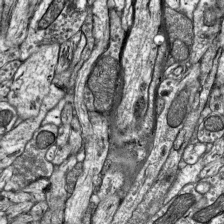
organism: Mouse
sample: Visual Cortex